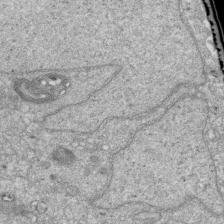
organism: Human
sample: HeLa cell HIV synapse